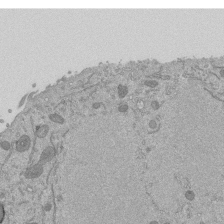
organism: Mouse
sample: ED-1 cell nuclei; centrioles